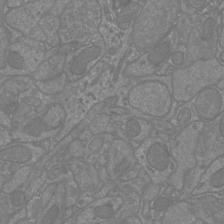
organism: Mouse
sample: Cortical neurons